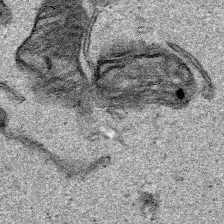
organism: Human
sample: Mitochondria in HCT116 cells